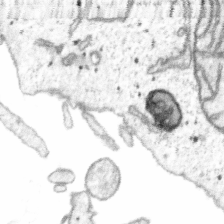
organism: Human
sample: HeLa cells